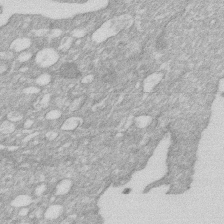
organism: Human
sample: HIV infected U937 cells